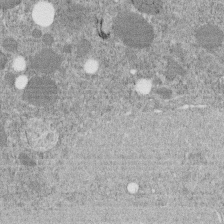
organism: C. elegans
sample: C. elegans embryo early stage